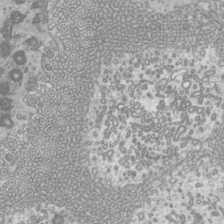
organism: Mouse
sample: Cilia; mouse epididymis